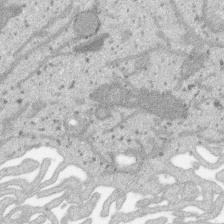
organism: Human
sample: Lung epithelial cells infected with SARS-CoV-2